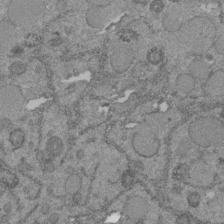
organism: C. elegans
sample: C. elegans embryo early stage